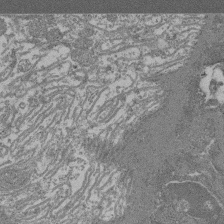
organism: Mouse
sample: Glomerulus